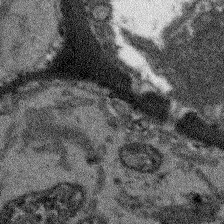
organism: Arabidopsis thaliana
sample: Root tip